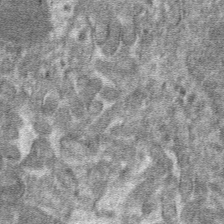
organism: Mouse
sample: Mouse hepatocytes